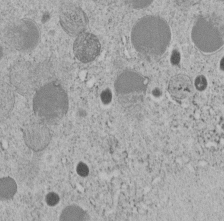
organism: C. elegans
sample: C. elegans embryo early stage